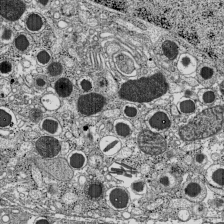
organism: C57BL Mouse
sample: Pancreatic islet